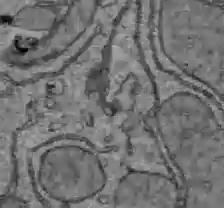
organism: C57BL Mouse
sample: Liver